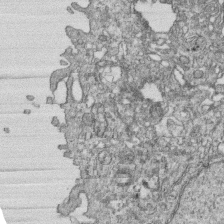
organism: Human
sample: HeLa cell HIV synapse